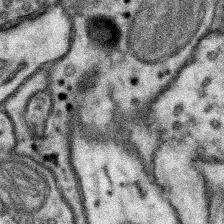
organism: Mouse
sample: Somatosensory cortex neuropil